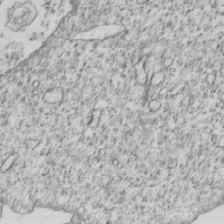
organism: Human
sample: MDA-MB-231 cells